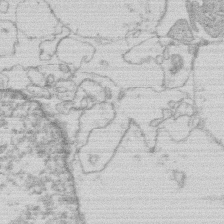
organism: Human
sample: Macrophage cells